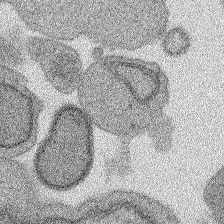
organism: Human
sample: HeLa cells